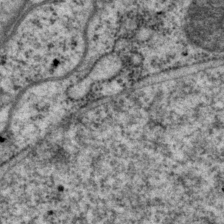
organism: P. pacificus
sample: Pharynx